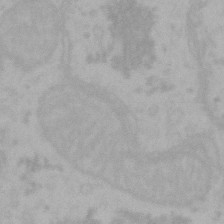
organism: Mouse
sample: Choroid plexus